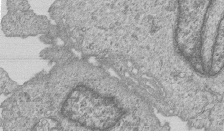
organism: Human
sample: MDA-MB-231 cells